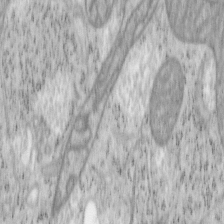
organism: Human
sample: HeLa cells